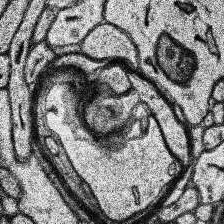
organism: Human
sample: Temporal Lobe